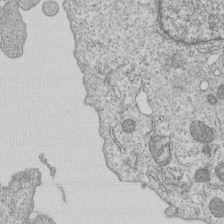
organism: Human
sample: MDA-MB-231 cells